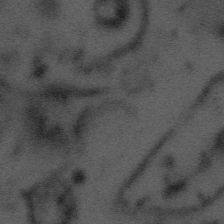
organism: Tuwongella immobilis